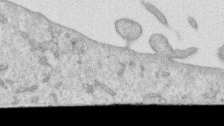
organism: Human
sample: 1205lu cells